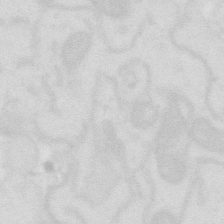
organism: Human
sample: HeLa cells